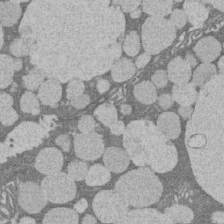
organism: Rat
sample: Salivary granule